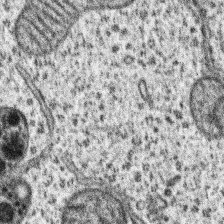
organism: Human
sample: HeLa cells